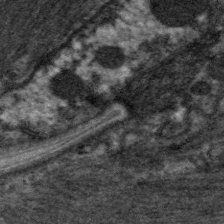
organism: C. elegans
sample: Pharynx